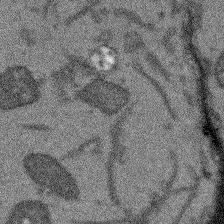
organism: Arabidopsis thaliana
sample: Root tip